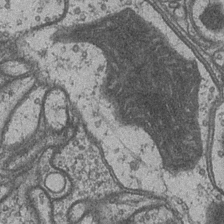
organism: Drosophila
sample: Optic medulla